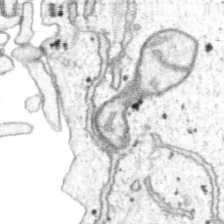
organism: Human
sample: HeLa cells